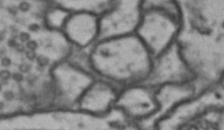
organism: Drosophila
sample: Brain